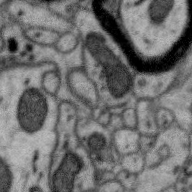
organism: Zebra finch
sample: Brain